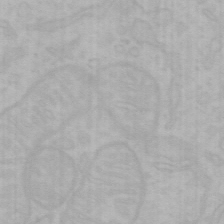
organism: Mouse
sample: Choroid plexus